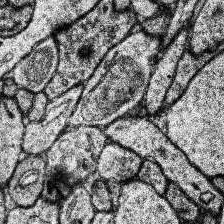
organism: Human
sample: Temporal Lobe